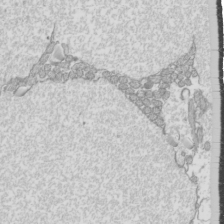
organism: Mouse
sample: Cilia; mouse epididymis